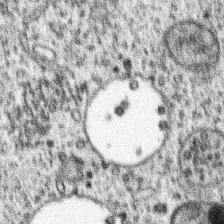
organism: Human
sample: HeLa cells